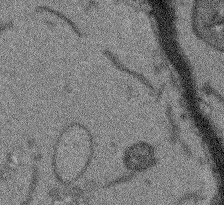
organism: Arabidopsis thaliana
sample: Root tip